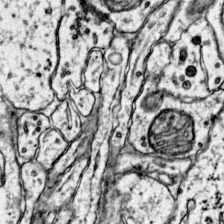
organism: Mouse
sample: Primary visual cortex